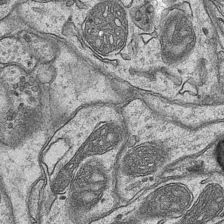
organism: Mouse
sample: CA1 Hippocampus